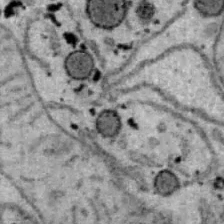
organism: Mouse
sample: Liver from an obese (ob/ob) mouse